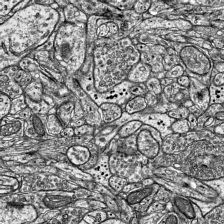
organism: Mouse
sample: Visual Cortex